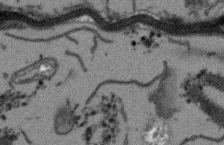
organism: Arabidopsis thaliana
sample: Root tip